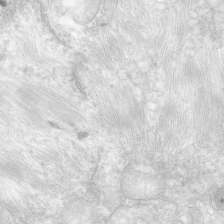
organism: Human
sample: Neocortex